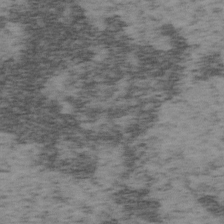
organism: Mouse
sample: OT-I killer T cells with ID8 ovarian cancer cells